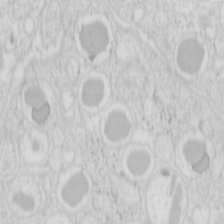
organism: Mouse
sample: Pancreas